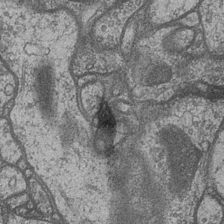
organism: Drosophila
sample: Optic medulla